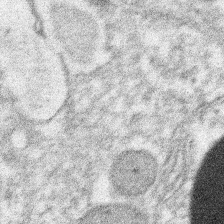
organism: Xenopus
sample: Cilia; centrioles in frog embryo cells